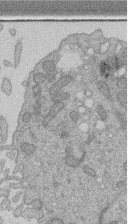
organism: Human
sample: Retinal organoid Rod and Cone cells